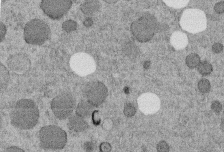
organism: C. elegans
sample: C. elegans embryo early stage